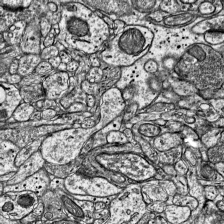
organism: Mouse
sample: Visual Cortex